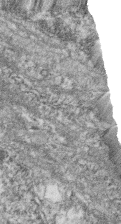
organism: Zebrafish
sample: Cilia; retinal pigment epithelium